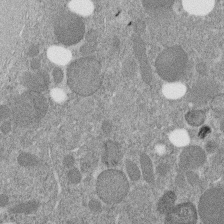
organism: C. elegans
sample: C. elegans embryo early stage